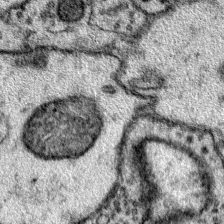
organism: Mouse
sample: Primary visual cortex